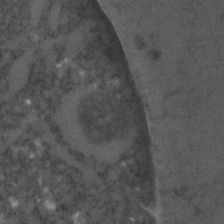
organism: C. elegans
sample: C. elegans embryo